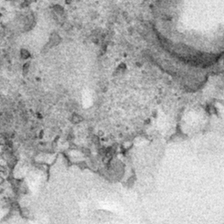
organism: Human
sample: Mitochondria in HCT116 cells